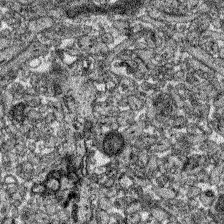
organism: Zebrafish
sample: Larval olfactory bulb